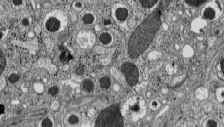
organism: C57BL Mouse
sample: Pancreatic islet